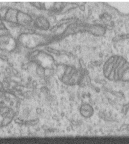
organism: Human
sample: Centriole in RPE cells